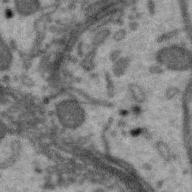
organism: Zebra finch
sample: Brain